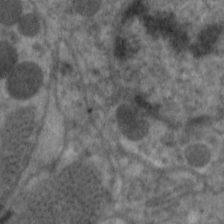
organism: C. elegans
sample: Pharynx